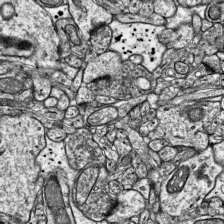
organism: Mouse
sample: Visual Cortex